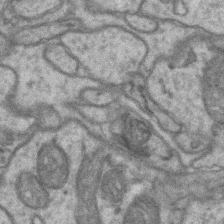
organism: Mouse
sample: CA1 Hippocampus